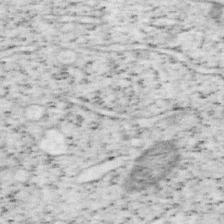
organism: Mouse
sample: OT-I killer T cells with ID8 ovarian cancer cells